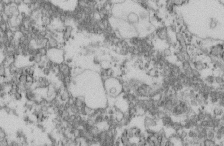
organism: Mouse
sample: Cilia; retinal pigment epithelium